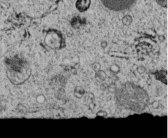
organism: C. elegans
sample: C. elegans embryo early stage